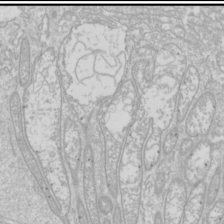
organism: Drosophila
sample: Cell division; meiosis; drosophila spermatocytes